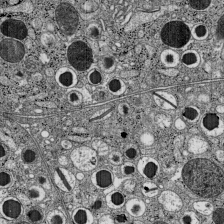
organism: C57BL Mouse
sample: Pancreatic islet